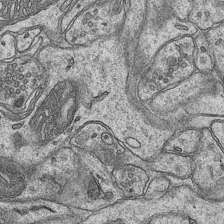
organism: Mouse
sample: CA1 Hippocampus